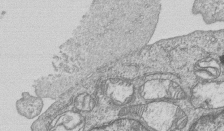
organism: Human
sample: MDA-MB-231 cells